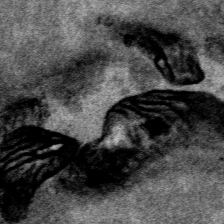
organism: Human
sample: Mitochondria in HCT116 cells